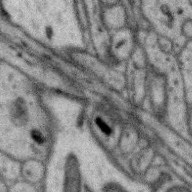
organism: Zebra finch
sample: Brain